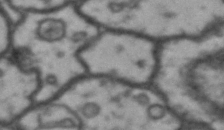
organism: Drosophila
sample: Brain